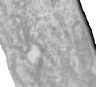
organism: Human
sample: Centriole in RPE cells